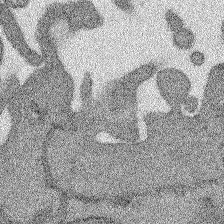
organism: Human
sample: HeLa cells